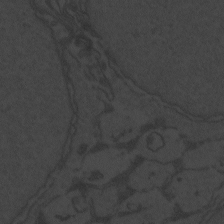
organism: Zebrafish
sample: Macrophage infected with Toxoplasma gondii